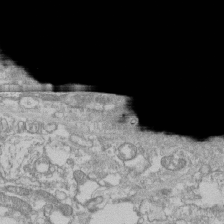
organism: Human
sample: CRL-1474